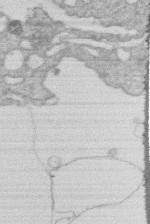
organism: Human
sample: Macrophage cells